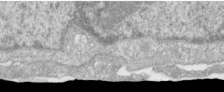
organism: Human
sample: Centriole in RPE cells